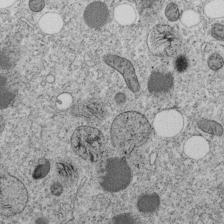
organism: C. elegans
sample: C. elegans embryo early stage